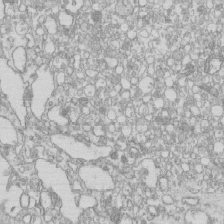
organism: Mouse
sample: Macrophages